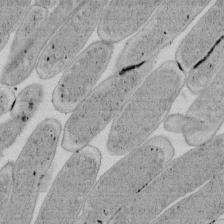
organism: E. coli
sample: Bacterial nucleoid